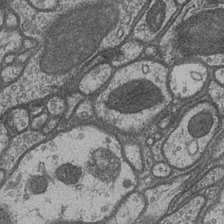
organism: Drosophila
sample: Optic medulla